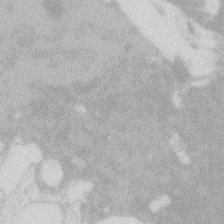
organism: Zebrafish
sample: Macrophage